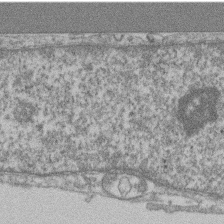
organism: Mouse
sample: T cell stromal cell synapse